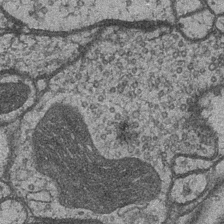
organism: Drosophila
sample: Optic medulla